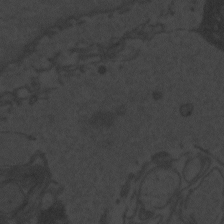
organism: Zebrafish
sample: Macrophage infected with Toxoplasma gondii